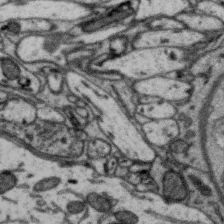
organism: Zebra finch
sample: Brain